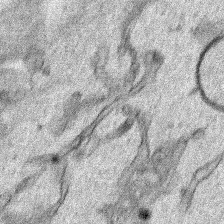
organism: Human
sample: Mitochondria in HCT116 cells